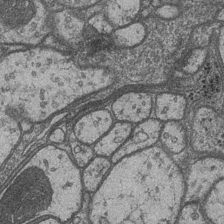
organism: Drosophila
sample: Optic medulla